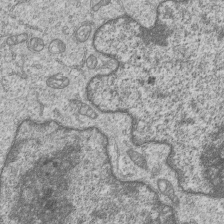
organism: Human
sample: MDA-MB-231 cells